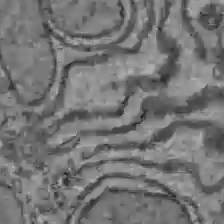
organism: C57BL Mouse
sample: Liver